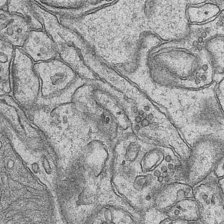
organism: Mouse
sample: CA1 Hippocampus